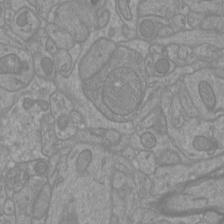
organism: Mouse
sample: Cortical neurons